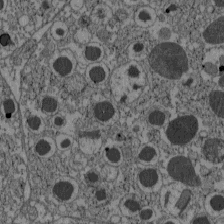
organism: C57BL Mouse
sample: Pancreatic islet